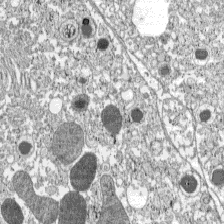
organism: C57BL Mouse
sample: Pancreatic islet